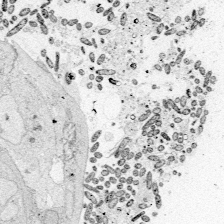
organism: Zebrafish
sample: Whole-Brain